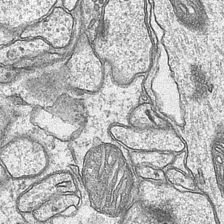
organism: Mouse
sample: CA1 Hippocampus